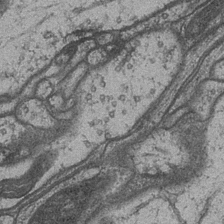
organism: Drosophila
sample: Optic medulla